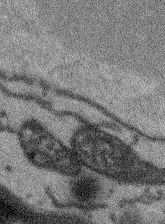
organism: Arabidopsis thaliana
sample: Root tip